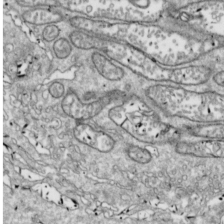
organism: Drosophila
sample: Cell division; meiosis; drosophila spermatocytes